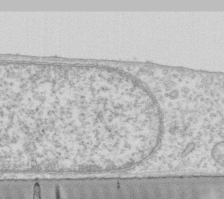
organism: Human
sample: Fibroblast cells